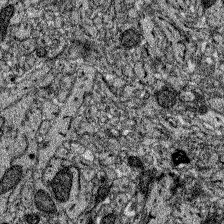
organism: Zebrafish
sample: Larval olfactory bulb